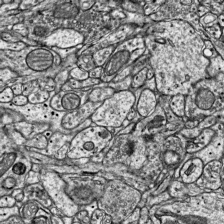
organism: Mouse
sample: Visual Cortex